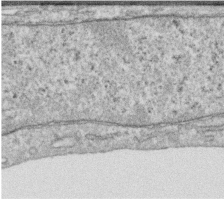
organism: Human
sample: Centriole in RPE cells